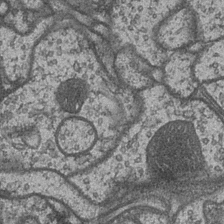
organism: Drosophila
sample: Optic medulla